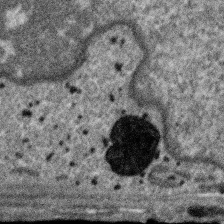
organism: Human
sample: Lung epithelial cells infected with SARS-CoV-2